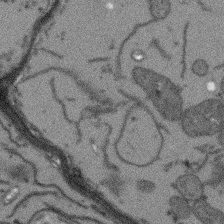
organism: Arabidopsis thaliana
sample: Root tip